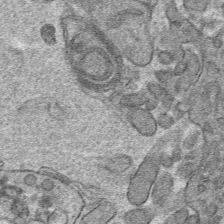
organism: Mouse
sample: Mouse hepatocytes